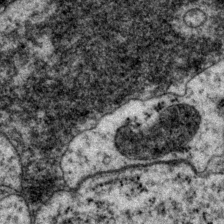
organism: P. pacificus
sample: Pharynx